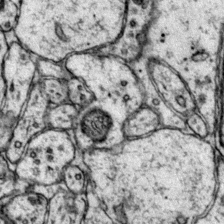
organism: Mouse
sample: Primary visual cortex